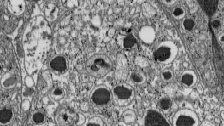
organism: C57BL Mouse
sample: Pancreatic islet